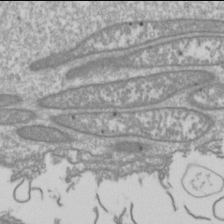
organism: Drosophila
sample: Cell division; meiosis; drosophila spermatocytes